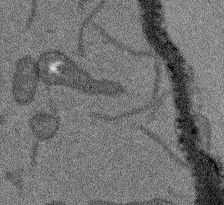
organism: Arabidopsis thaliana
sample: Root tip